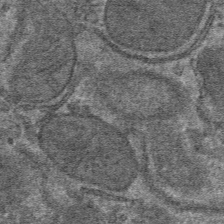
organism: Mouse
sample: Mouse hepatocytes